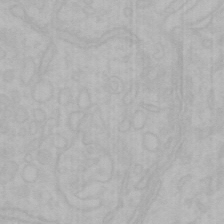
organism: Mouse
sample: Choroid plexus